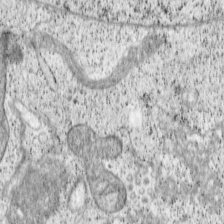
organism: African green monkey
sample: COS-7 cells